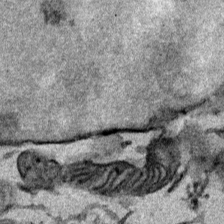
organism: Mouse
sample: Cancer cell death in ED-1 cells